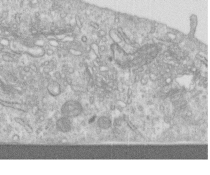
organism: Human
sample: Centriole in RPE cells